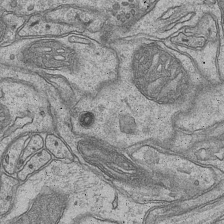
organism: Mouse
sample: CA1 Hippocampus